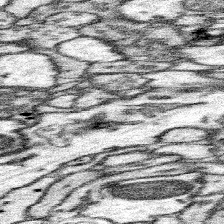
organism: Mouse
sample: Somatosensory cortex neuropil